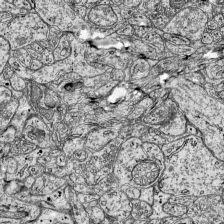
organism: Mouse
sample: Visual Cortex